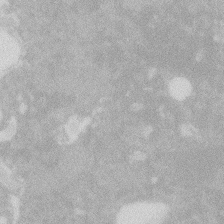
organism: Zebrafish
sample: Macrophage